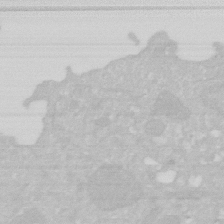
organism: Human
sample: HIV infected U937 cells